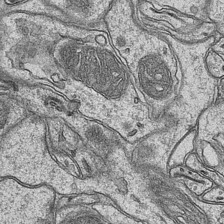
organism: Mouse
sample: CA1 Hippocampus